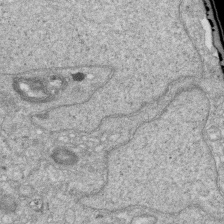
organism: Human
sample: HeLa cell HIV synapse